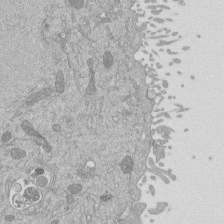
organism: Mouse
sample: ED-1 cell nuclei; centrioles